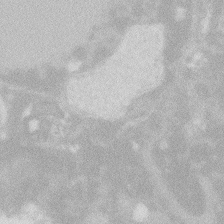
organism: Zebrafish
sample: Macrophage